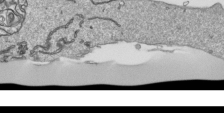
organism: Human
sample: Mitochondria in HCT116 cells